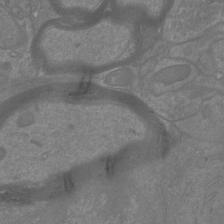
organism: Mouse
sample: Cortical neurons